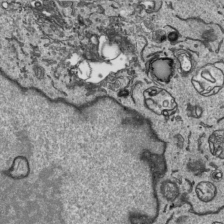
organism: Human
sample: Mitochondria in HCT116 cells